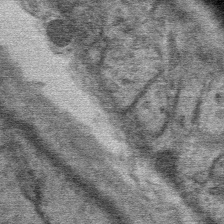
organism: Mouse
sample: Mouse Salivary gland